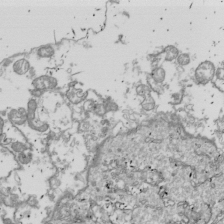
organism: Drosophila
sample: Cell division; meiosis; drosophila spermatocytes